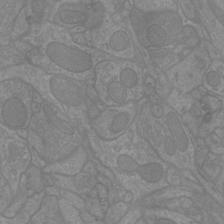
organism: Mouse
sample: Cortical neurons